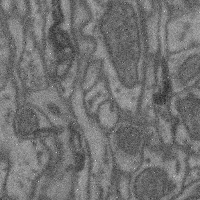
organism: Mouse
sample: Cerebral cortex